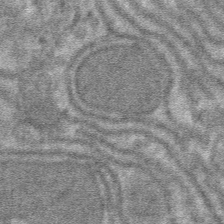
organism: Mouse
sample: Mouse hepatocytes